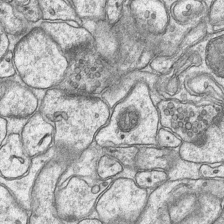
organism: Mouse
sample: CA1 Hippocampus